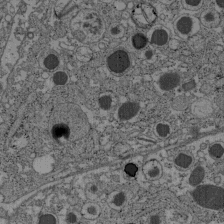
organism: C57BL Mouse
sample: Pancreatic islet